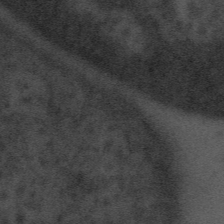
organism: Tuwongella immobilis